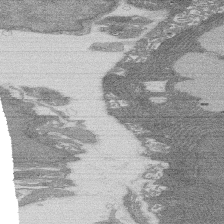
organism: Rat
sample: Salivary granule